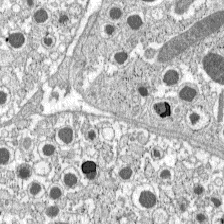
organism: C57BL Mouse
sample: Pancreatic islet